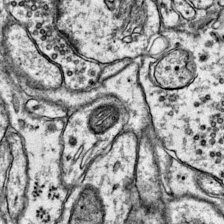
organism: Mouse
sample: Primary visual cortex